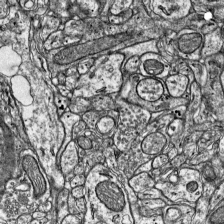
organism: Mouse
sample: Visual Cortex